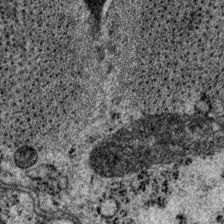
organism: P. pacificus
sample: Pharynx